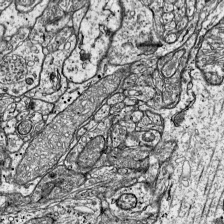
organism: Mouse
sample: Visual Cortex